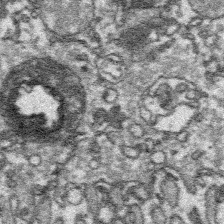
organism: Platynereis dumerilii